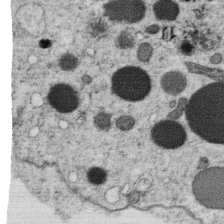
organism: C. elegans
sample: C. elegans oocyte; sperm cells